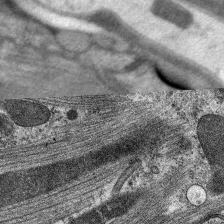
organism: C. elegans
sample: Pharynx